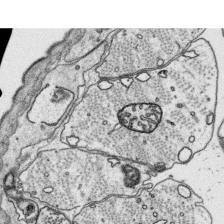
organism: Platynereis dumerilii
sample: Parapodia